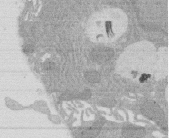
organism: Rat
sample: Salivary granule